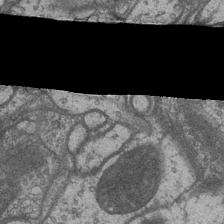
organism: Drosophila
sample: Optic medulla